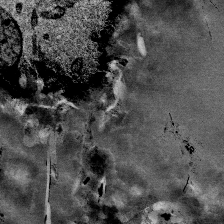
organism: Mouse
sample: Mouse Salivary gland